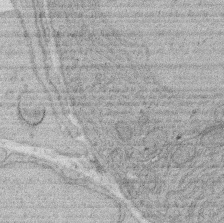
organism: Rat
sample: Salivary granule